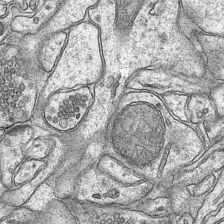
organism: Mouse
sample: CA1 Hippocampus